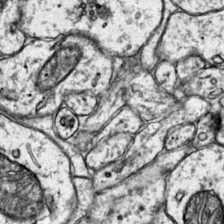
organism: Mouse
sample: Primary visual cortex